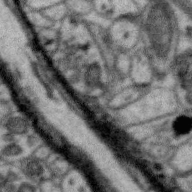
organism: Zebra finch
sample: Brain